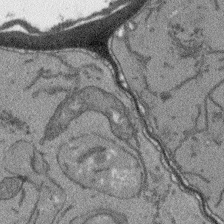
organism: Arabidopsis thaliana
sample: Root tip